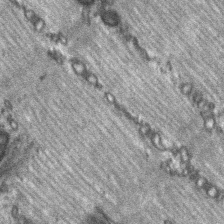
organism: C57BL Mouse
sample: Soleus